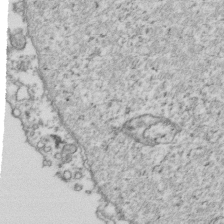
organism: Human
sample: Activated Jurkat CD4+ T cells